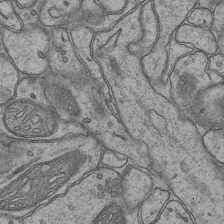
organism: Mouse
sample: CA1 Hippocampus